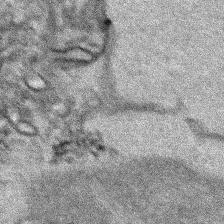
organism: Human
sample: Mitochondria in HCT116 cells